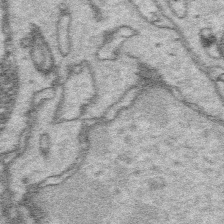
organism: Platynereis dumerilii